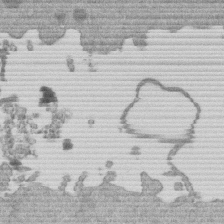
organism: Mouse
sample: Dividing mouse embryo 1 cell stage